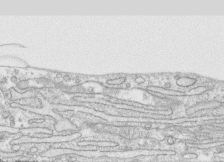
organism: Human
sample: CRL-1474